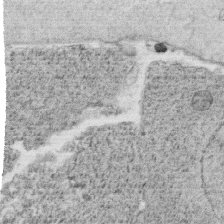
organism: C. elegans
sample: C. elegans oocyte; sperm cells